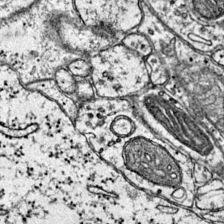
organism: Mouse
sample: Primary visual cortex